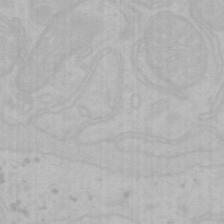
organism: Mouse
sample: Choroid plexus